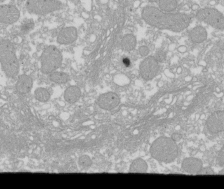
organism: Xenopus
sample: Cilia; centrioles in frog embryo cells